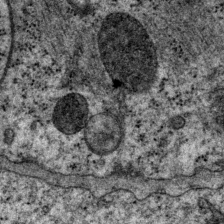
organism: P. pacificus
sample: Pharynx